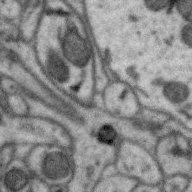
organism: Zebra finch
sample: Brain